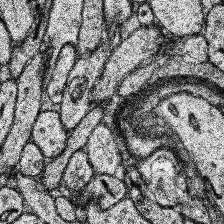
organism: Human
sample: Temporal Lobe